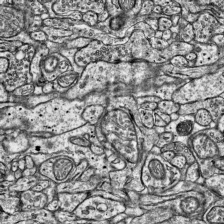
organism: Mouse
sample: Visual Cortex